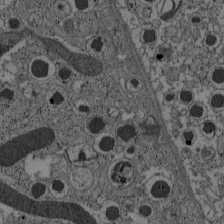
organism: C57BL Mouse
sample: Pancreatic islet